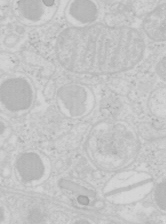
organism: Mouse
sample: Pancreas